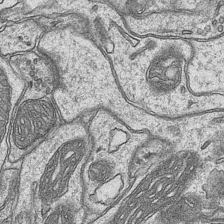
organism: Mouse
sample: CA1 Hippocampus